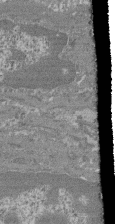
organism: Mouse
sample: Glomerulus